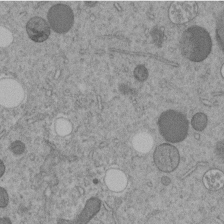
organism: C. elegans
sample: C. elegans embryo early stage